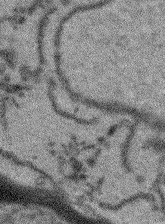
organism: Arabidopsis thaliana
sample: Root tip